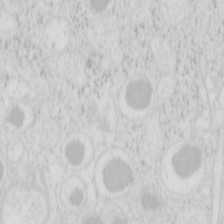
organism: Mouse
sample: Pancreas